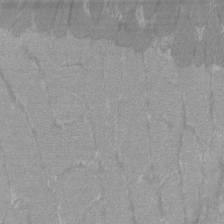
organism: C57BL Mouse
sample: Tibialis anterior muscle cell